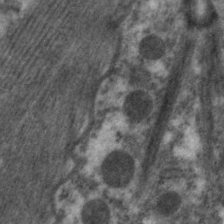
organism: C. elegans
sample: Pharynx